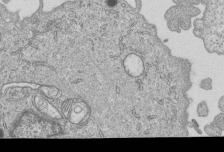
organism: Human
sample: MDA-MB-231 cells